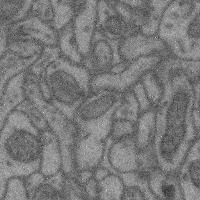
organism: Mouse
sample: Cerebral cortex